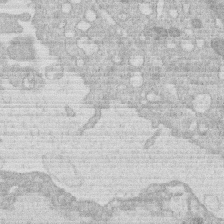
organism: Human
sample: Macrophage cells